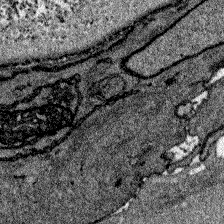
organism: Zebrafish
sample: Larval olfactory bulb